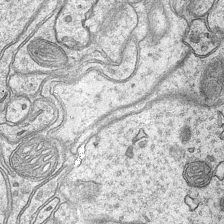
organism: Mouse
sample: CA1 Hippocampus